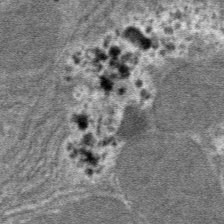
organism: Mouse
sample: Mouse hepatocytes